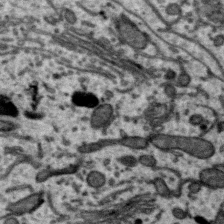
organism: Zebra finch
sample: Brain